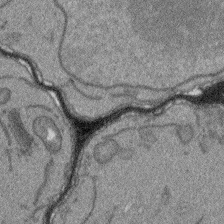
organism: Arabidopsis thaliana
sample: Root tip